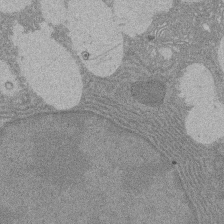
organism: Rat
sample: Salivary granule